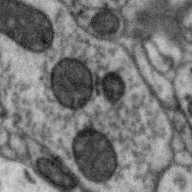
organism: Zebra finch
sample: Brain